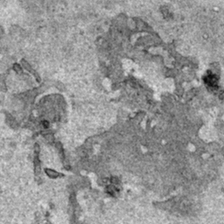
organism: Human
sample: Mitochondria in HCT116 cells